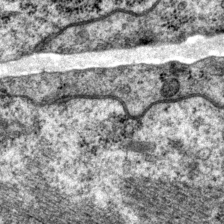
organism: P. pacificus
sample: Pharynx